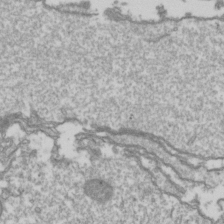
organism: Drosophila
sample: Cell division; meiosis; drosophila spermatocytes